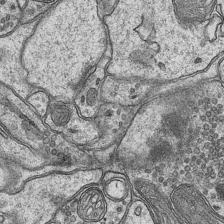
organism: Mouse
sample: CA1 Hippocampus